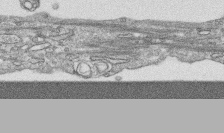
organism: Human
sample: CRL-1474